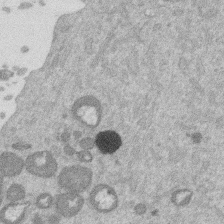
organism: Mouse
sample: Dividing mouse embryo 1 cell stage